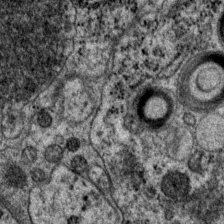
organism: P. pacificus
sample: Pharynx